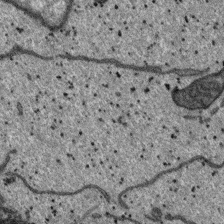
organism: Human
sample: Lung epithelial cells, uninfected (mock) control